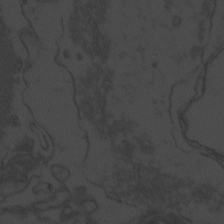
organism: Zebrafish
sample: Macrophage infected with Toxoplasma gondii